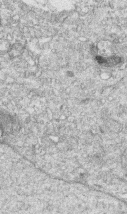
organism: Human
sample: HeLa cell HIV synapse